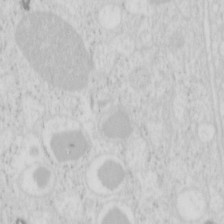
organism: Mouse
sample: Pancreas